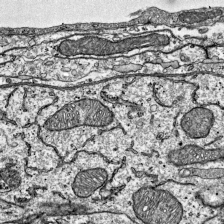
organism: Mouse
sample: Visual Cortex